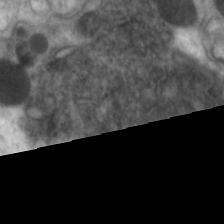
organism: C. elegans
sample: Pharynx